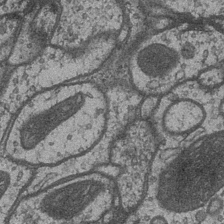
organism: Drosophila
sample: Optic medulla